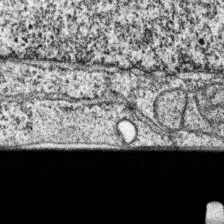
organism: Human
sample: HeLa cells